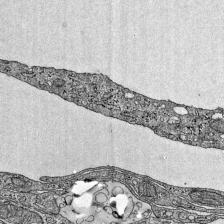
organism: Mouse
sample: Visual Cortex